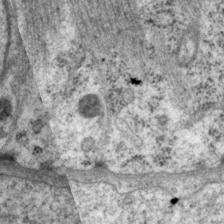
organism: P. pacificus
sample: Pharynx